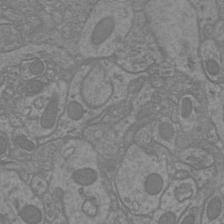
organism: Mouse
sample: Cortical neurons